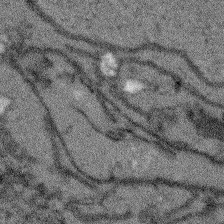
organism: Arabidopsis thaliana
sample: Root tip